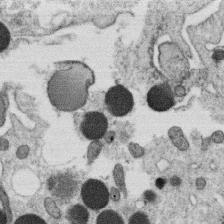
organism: C. elegans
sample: C. elegans oocyte; sperm cells